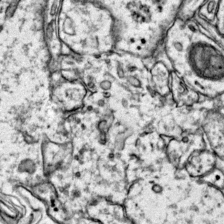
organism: Mouse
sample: Primary visual cortex